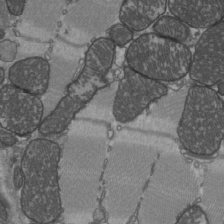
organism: C57BL Mouse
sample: Heart